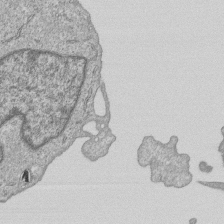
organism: Human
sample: MDA-MB-231 cells